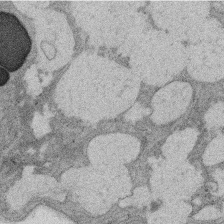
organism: Rat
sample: Salivary granule